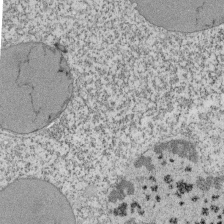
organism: Tetrahymena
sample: Cilia in tetrahymena